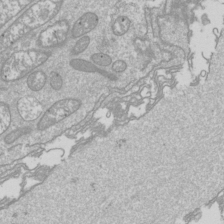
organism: Drosophila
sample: Cell division; meiosis; drosophila spermatocytes